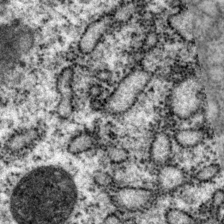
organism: P. pacificus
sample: Pharynx